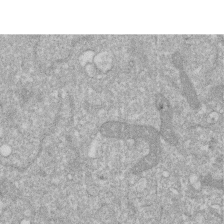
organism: Human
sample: HIV infected U937 cells